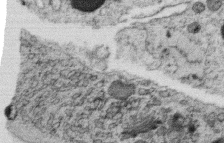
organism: C. elegans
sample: C. elegans oocyte; sperm cells